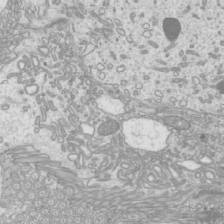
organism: Mouse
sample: Cilia; mouse epididymis